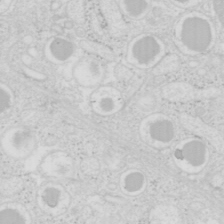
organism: Mouse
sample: Pancreas